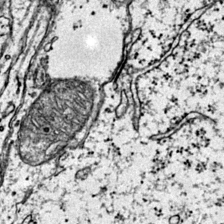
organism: Mouse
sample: Primary visual cortex